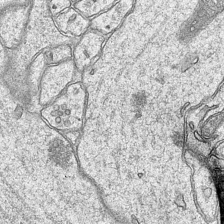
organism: Mouse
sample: CA1 Hippocampus